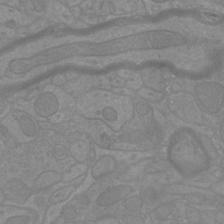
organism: Mouse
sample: Cortical neurons